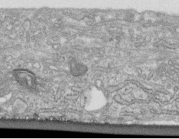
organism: Human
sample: Centriole in fibroblast cells